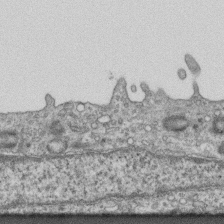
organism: Mouse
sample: Centriole in ependymal cells